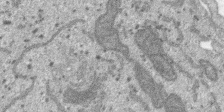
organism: Human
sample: Lung epithelial cells infected with SARS-CoV-2